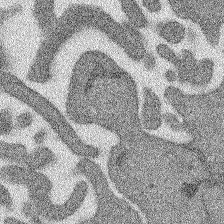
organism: Human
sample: HeLa cells